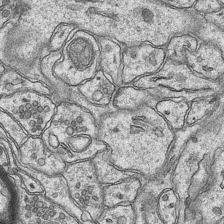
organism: Mouse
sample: CA1 Hippocampus